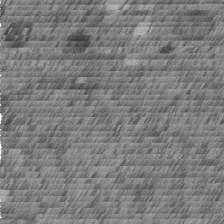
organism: C. elegans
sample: C. elegans embryo early stage